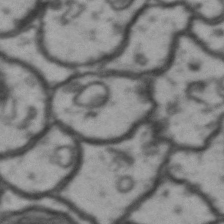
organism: Drosophila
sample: Brain